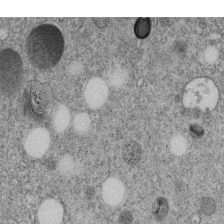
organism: C. elegans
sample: C. elegans embryo early stage